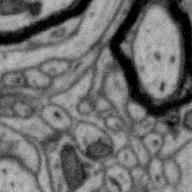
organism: Zebra finch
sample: Brain